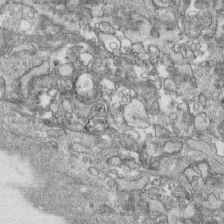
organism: Human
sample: CRL-1474